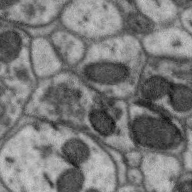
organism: Zebra finch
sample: Brain